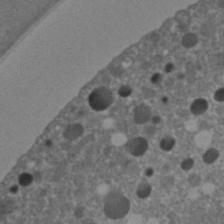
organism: C. elegans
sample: C. elegans embryo